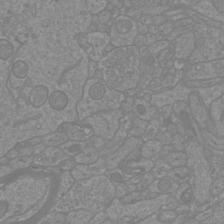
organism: Mouse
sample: Cortical neurons